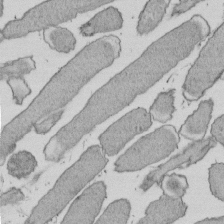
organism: E. coli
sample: Bacterial nucleoid